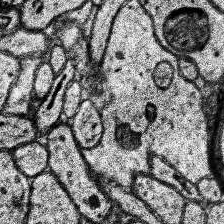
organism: Human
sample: Temporal Lobe